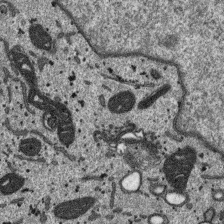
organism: Human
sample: Lung epithelial cells infected with SARS-CoV-2